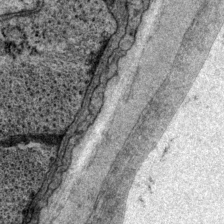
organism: P. pacificus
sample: Pharynx